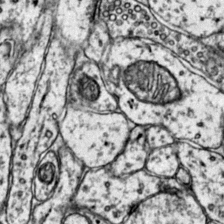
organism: Mouse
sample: Primary visual cortex